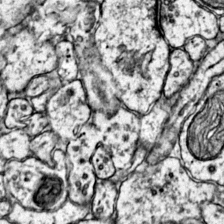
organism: Mouse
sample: Primary visual cortex